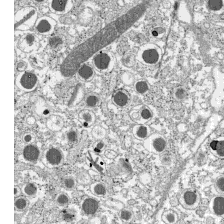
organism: C57BL Mouse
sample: Pancreatic islet